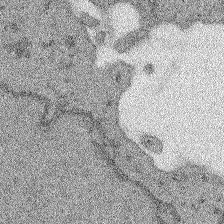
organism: Human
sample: HeLa cells